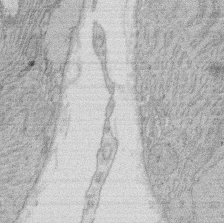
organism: Rat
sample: Salivary granule